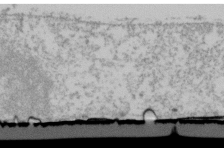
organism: Human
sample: U2-OS cells